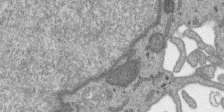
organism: Human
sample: Lung epithelial cells infected with SARS-CoV-2